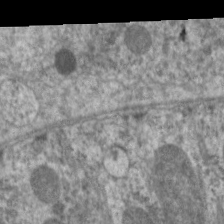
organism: C. elegans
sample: Pharynx